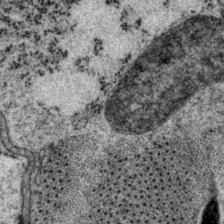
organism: P. pacificus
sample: Pharynx